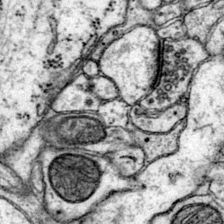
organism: Mouse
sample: Primary visual cortex